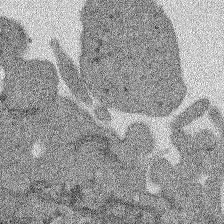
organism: Human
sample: HeLa cells